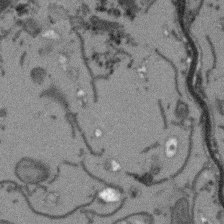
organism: Arabidopsis thaliana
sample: Root tip